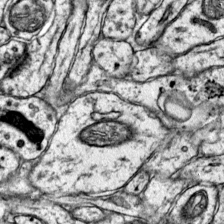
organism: Mouse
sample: Primary visual cortex